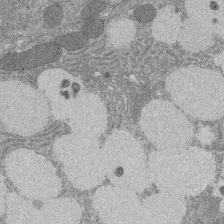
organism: Rat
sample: Salivary granule